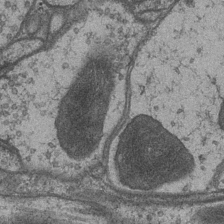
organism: Drosophila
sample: Optic medulla